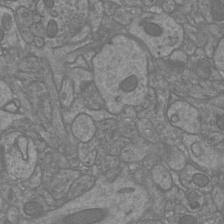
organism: Mouse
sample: Cortical neurons